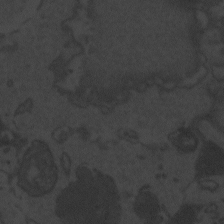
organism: Zebrafish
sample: Macrophage infected with Toxoplasma gondii